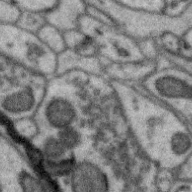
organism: Zebra finch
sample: Brain